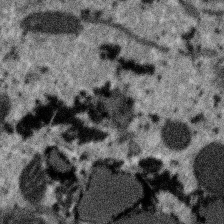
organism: Human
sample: Lung epithelial cells infected with SARS-CoV-2